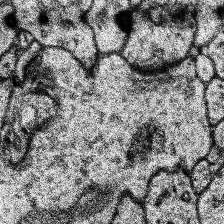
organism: Human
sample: Temporal Lobe